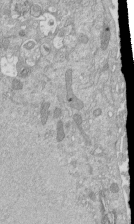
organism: Mouse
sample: ED-1 cell nuclei; centrioles